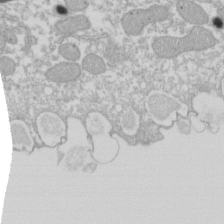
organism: Xenopus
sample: Cilia; centrioles in frog embryo cells